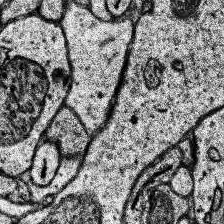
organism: Human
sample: Temporal Lobe